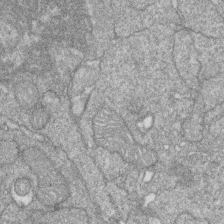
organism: Zebrafish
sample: Cilia; retinal pigment epithelium